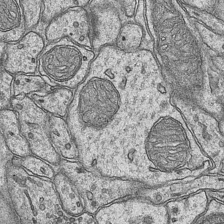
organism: Mouse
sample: CA1 Hippocampus